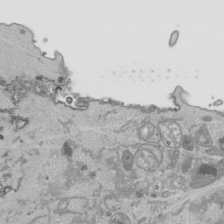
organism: Human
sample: Mitochondria in HCT116 cells